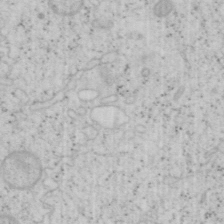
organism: Human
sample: HeLa cells